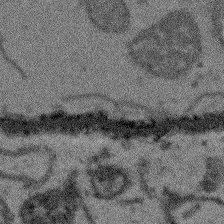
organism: Arabidopsis thaliana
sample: Root tip